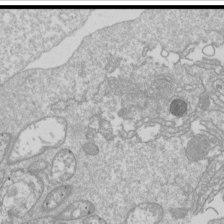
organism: Drosophila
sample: Cell division; meiosis; drosophila spermatocytes